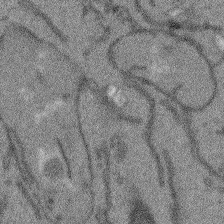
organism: Arabidopsis thaliana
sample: Root tip